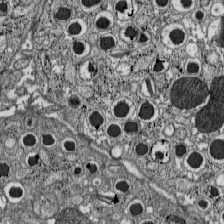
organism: C57BL Mouse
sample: Pancreatic islet